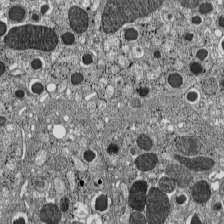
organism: C57BL Mouse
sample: Pancreatic islet